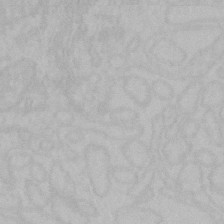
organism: Mouse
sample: Choroid plexus